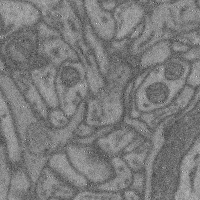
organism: Mouse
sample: Cerebral cortex